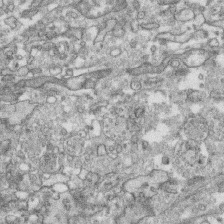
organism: Human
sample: CRL-1474